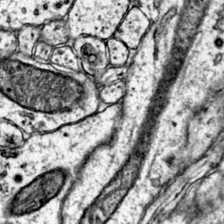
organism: Mouse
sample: Primary visual cortex